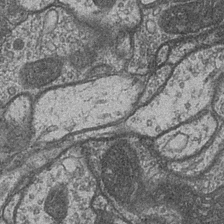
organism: Drosophila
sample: Optic medulla